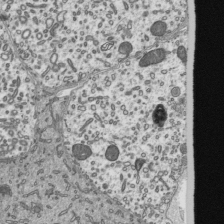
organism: Mouse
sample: Mouse epididymis efferent ductule cilia